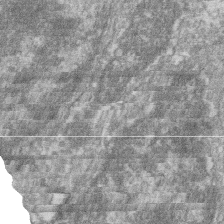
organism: Zebrafish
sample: Cilia; retinal pigment epithelium